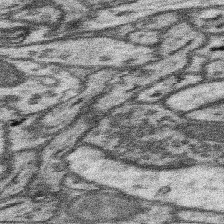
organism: Mouse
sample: Somatosensory cortex neuropil